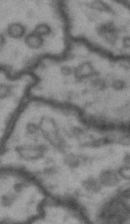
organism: Drosophila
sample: Brain